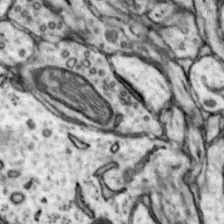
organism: Mouse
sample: Nucleus accumbens